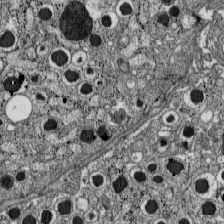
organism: C57BL Mouse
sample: Pancreatic islet